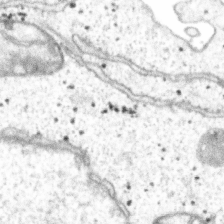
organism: Human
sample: HeLa cells